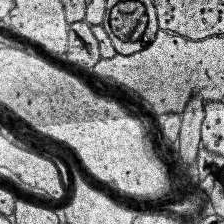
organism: Human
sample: Temporal Lobe